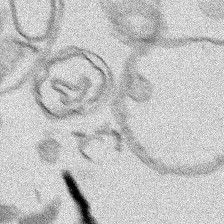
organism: Human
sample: Mitochondria in HCT116 cells